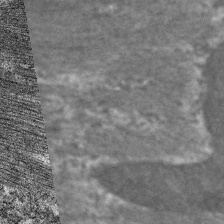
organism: C. elegans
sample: Pharynx